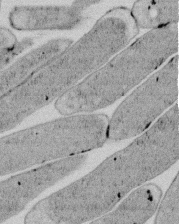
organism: E. coli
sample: Bacterial nucleoid